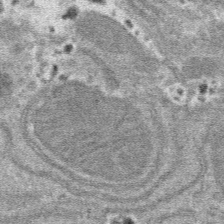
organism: Mouse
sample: Mouse hepatocytes